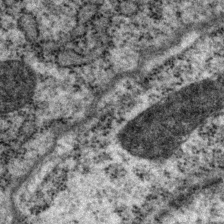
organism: P. pacificus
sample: Pharynx